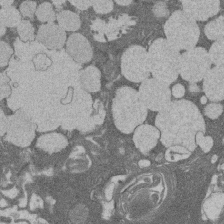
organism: Rat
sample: Salivary granule